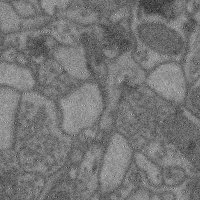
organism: Mouse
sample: Cerebral cortex